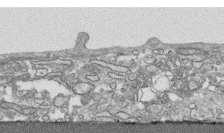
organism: Human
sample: CRL-1474